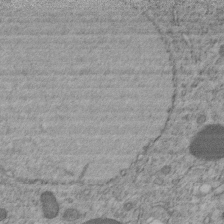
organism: C. elegans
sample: C. elegans embryo early stage